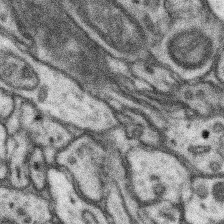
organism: Mouse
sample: Somatosensory cortex neuropil